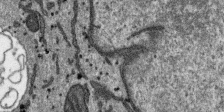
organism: Human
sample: Lung epithelial cells, uninfected (mock) control